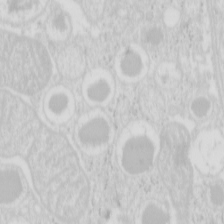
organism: Mouse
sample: Pancreas